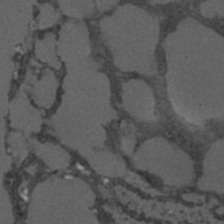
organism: C. elegans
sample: C. elegans embryo